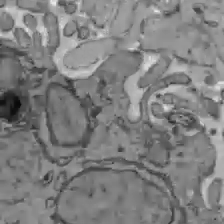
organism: C57BL Mouse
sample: Liver